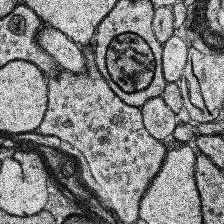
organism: Human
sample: Temporal Lobe